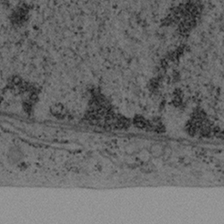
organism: Human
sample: HeLa cells